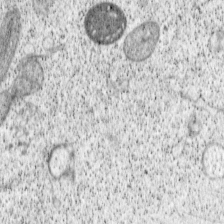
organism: African green monkey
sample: COS-7 cells